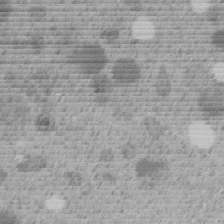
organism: C. elegans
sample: C. elegans embryo early stage